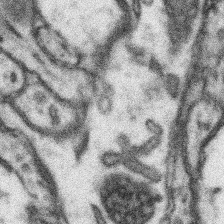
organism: Mouse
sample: Somatosensory cortex neuropil